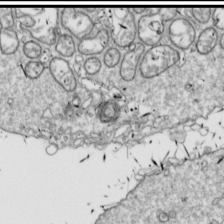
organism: Drosophila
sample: Cell division; meiosis; drosophila spermatocytes